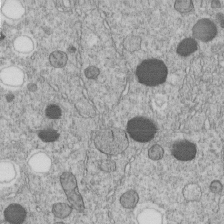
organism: C. elegans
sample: C. elegans embryo early stage